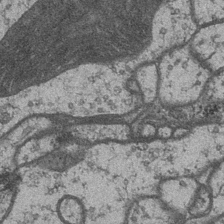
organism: Drosophila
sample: Optic medulla